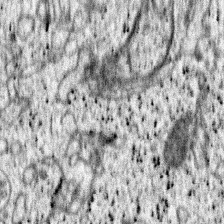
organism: Human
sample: HeLa cells